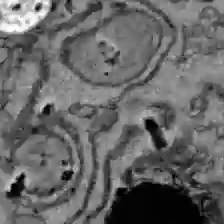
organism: C57BL Mouse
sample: Liver